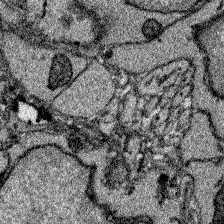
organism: Zebrafish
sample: Larval olfactory bulb